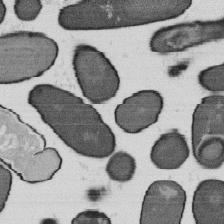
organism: B. subtilis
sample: Bacterial spore